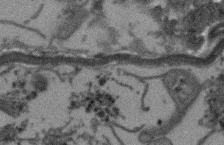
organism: Arabidopsis thaliana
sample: Root tip